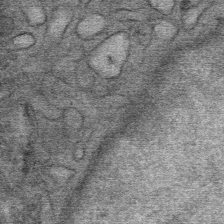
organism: Mouse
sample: Mouse Salivary gland